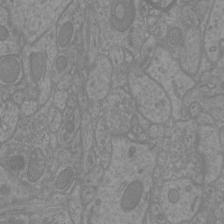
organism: Mouse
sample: Cortical neurons